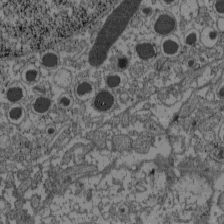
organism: C57BL Mouse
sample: Pancreatic islet